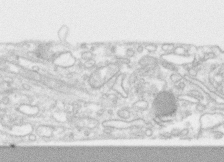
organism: Human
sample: CRL-1474